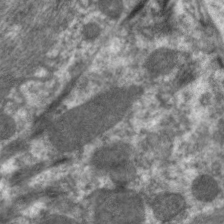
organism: C. elegans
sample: Pharynx